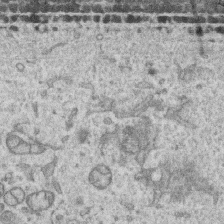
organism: Human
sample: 1205lu cells